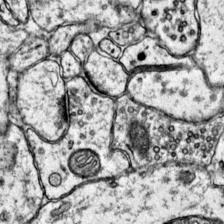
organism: Mouse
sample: Primary visual cortex